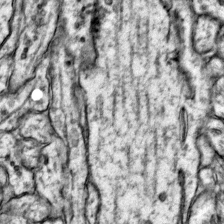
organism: Mouse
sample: Primary visual cortex